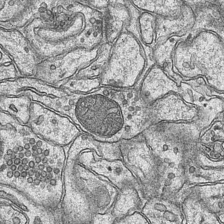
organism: Mouse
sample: CA1 Hippocampus